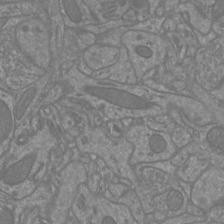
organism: Mouse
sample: Cortical neurons